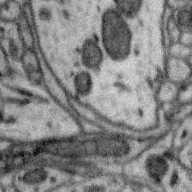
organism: Zebra finch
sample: Brain